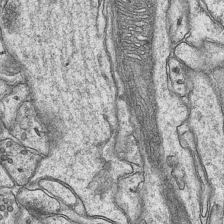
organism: Mouse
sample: CA1 Hippocampus